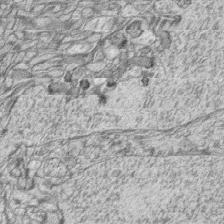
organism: Zebrafish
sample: synaptic ribbons in rod cells and cone cells